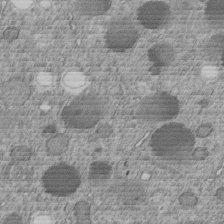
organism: C. elegans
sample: C. elegans embryo early stage